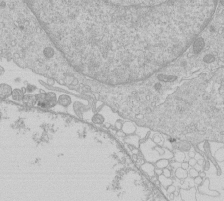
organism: Human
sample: Macrophage cells